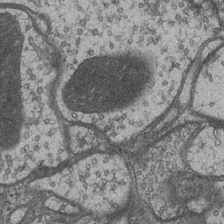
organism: Drosophila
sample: Optic medulla